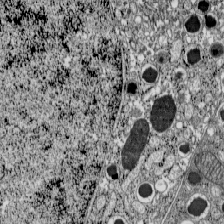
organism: C57BL Mouse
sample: Pancreatic islet